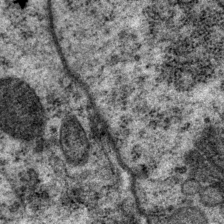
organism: P. pacificus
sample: Pharynx